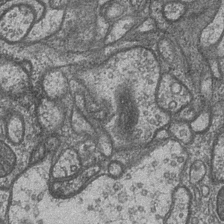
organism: Drosophila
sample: Optic medulla